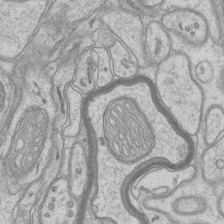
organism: Mouse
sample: CA1 Hippocampus